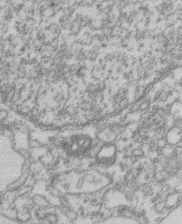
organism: Mouse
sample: T cell stromal cell synapse